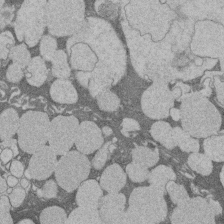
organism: Rat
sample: Salivary granule